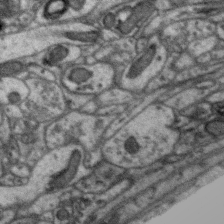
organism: Zebra finch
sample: Brain